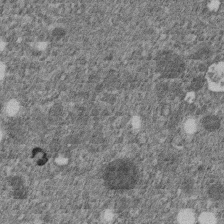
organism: C. elegans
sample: C. elegans embryo early stage